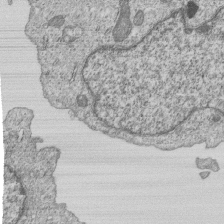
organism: Human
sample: MDA-MB-231 cells